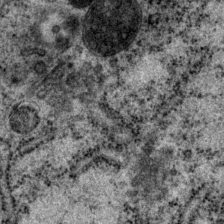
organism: P. pacificus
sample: Pharynx